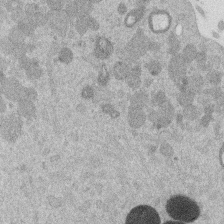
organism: Mouse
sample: Dividing mouse embryo 1 cell stage